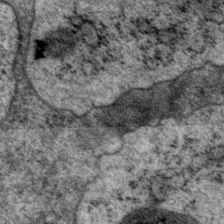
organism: P. pacificus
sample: Pharynx